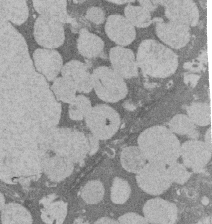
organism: Rat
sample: Salivary granule